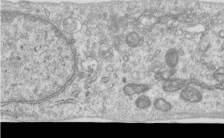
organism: Human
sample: Centriole in RPE cells